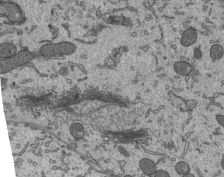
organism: Mouse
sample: Mouse epididymis efferent ductule cilia